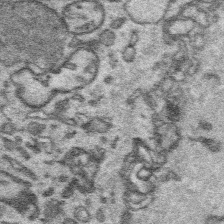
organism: Platynereis dumerilii